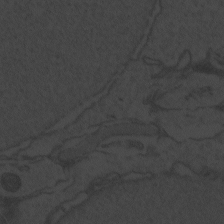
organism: Zebrafish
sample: Macrophage infected with Toxoplasma gondii